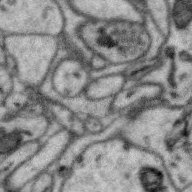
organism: Zebra finch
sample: Brain